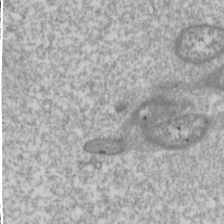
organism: Drosophila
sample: Cell division; meiosis; drosophila spermatocytes